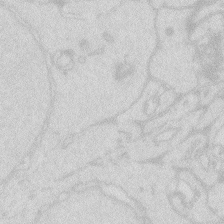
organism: Zebrafish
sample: Macrophage